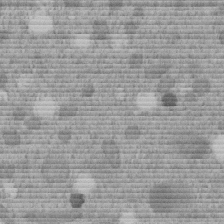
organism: C. elegans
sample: C. elegans embryo early stage